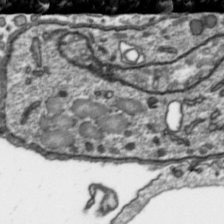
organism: Toxoplasma gondii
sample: Parasites in a vacuole inside a host cell